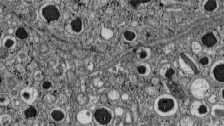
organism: C57BL Mouse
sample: Pancreatic islet